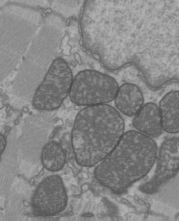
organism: C57BL Mouse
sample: Heart